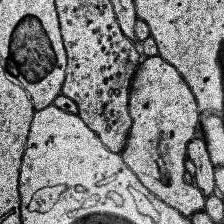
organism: Human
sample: Temporal Lobe